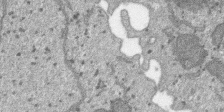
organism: Human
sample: Lung epithelial cells infected with SARS-CoV-2